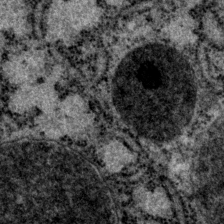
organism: P. pacificus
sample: Pharynx